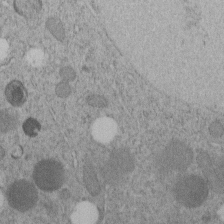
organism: C. elegans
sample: C. elegans embryo early stage